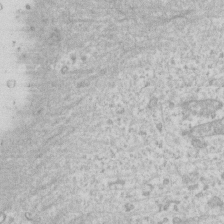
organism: Human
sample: Fibroblast cells